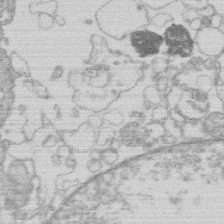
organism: Human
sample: Macrophage cells